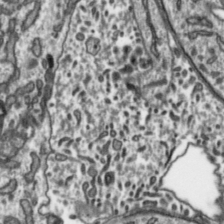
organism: Toxoplasma gondii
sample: Parasites in a vacuole inside a host cell